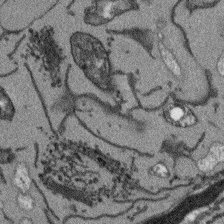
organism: Arabidopsis thaliana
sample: Root tip